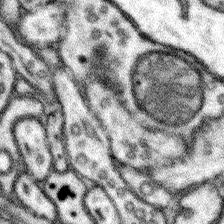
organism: Mouse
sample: Somatosensory cortex neuropil